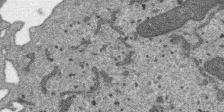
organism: Human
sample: Lung epithelial cells infected with SARS-CoV-2